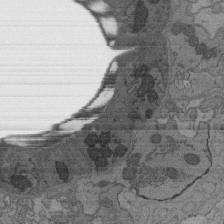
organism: C. elegans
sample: AFD neurons C. elegans